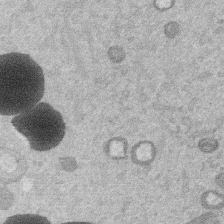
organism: Mouse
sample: Dividing mouse embryo 1 cell stage